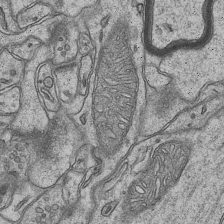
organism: Mouse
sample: CA1 Hippocampus